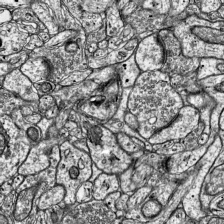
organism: Mouse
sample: Visual Cortex